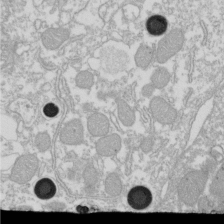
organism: Xenopus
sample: Cilia; centrioles in frog embryo cells